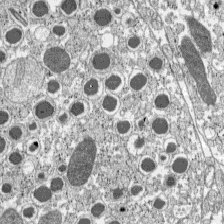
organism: C57BL Mouse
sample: Pancreatic islet